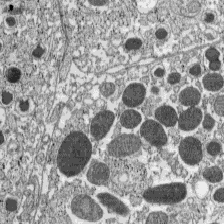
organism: C57BL Mouse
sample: Pancreatic islet